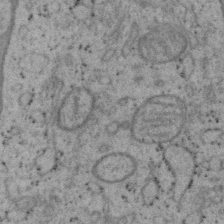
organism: Human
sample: HeLa cells